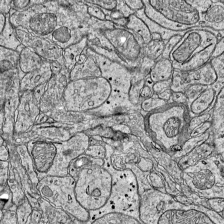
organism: Mouse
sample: Visual Cortex